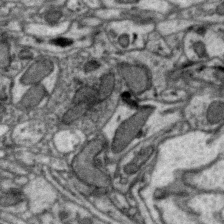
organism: Zebra finch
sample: Brain